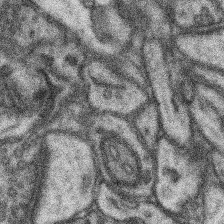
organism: Mouse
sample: Somatosensory cortex neuropil